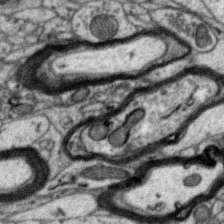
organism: Zebra finch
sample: Brain